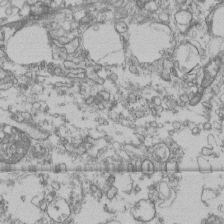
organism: Human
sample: Fibroblast cells